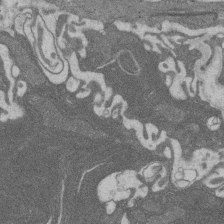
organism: Rat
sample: Salivary granule